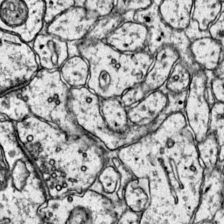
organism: Mouse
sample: Primary visual cortex